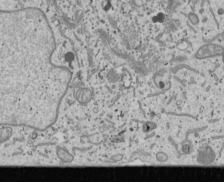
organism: Human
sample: Mitochondria in U2OS cells